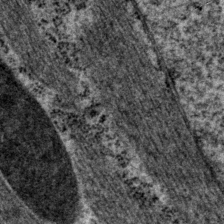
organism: P. pacificus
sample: Pharynx